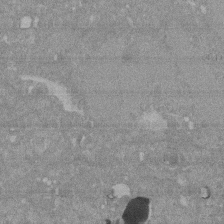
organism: Mouse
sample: ED-1 cell nuclei; centrioles